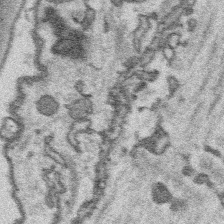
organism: Platynereis dumerilii